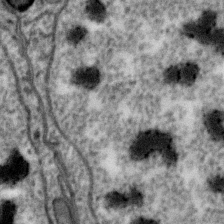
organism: Zebra finch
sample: Brain